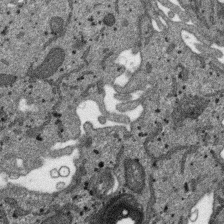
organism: Human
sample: Lung epithelial cells infected with SARS-CoV-2